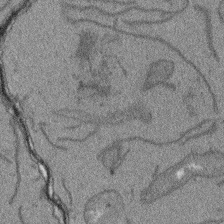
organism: Arabidopsis thaliana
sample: Root tip